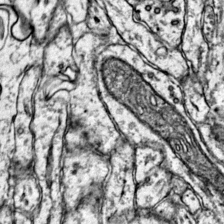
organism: Mouse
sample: Primary visual cortex